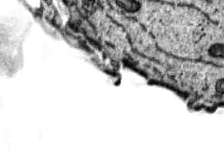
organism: Human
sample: HeLa cells